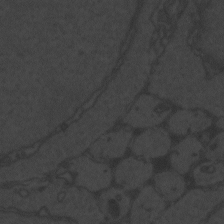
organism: Zebrafish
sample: Macrophage infected with Toxoplasma gondii